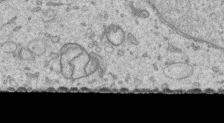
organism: Human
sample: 1205lu cells